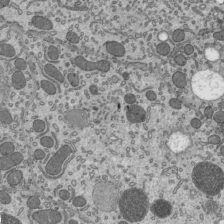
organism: Mouse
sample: Mouse epididymis efferent ductule cilia